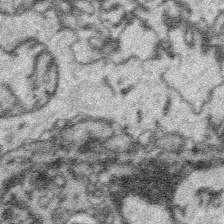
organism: Platynereis dumerilii